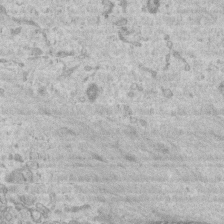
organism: Mouse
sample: Centriole in ependymal cells